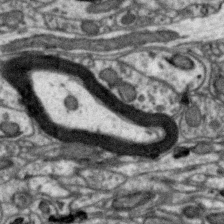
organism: Zebra finch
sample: Brain